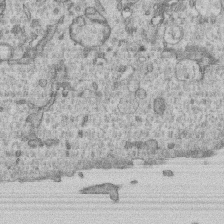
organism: Human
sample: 1205lu cells